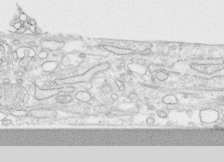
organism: Human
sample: CRL-1474